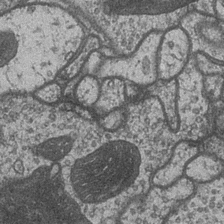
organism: Drosophila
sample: Optic medulla